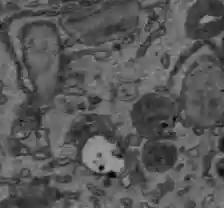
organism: C57BL Mouse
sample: Liver